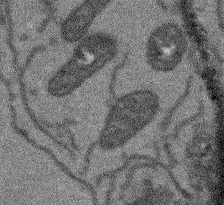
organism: Arabidopsis thaliana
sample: Root tip